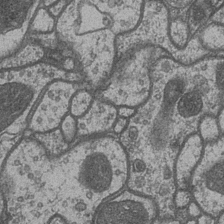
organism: Drosophila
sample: Optic medulla